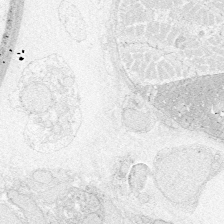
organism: Zebrafish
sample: Whole-Brain